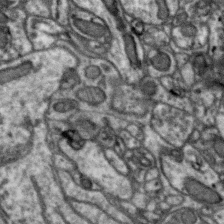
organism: Zebra finch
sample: Brain